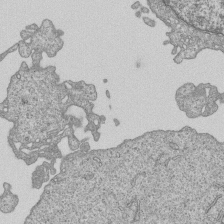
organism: Human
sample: MDA-MB-231 cells